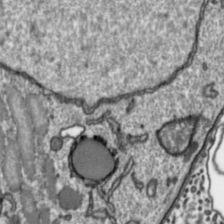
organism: Toxoplasma gondii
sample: Parasites in a vacuole inside a host cell